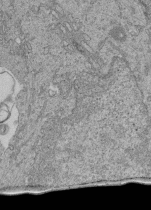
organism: Human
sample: Retinal organoid Rod and Cone cells